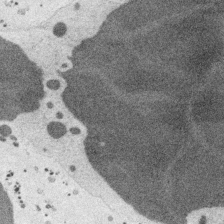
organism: Embia sp.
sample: Silk gland